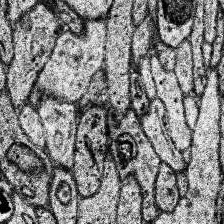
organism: Human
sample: Temporal Lobe